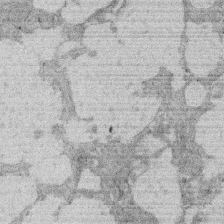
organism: Rat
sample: Salivary granule